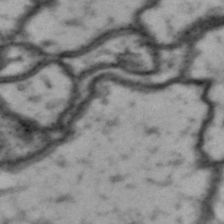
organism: Drosophila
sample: Brain